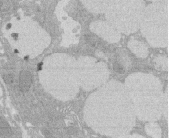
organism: Rat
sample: Salivary granule